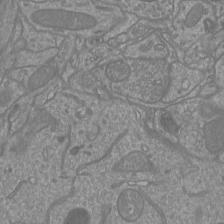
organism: Mouse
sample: Cortical neurons